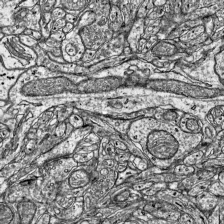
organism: Mouse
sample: Visual Cortex